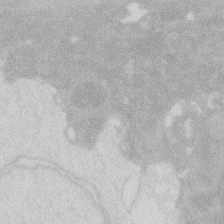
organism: Zebrafish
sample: Macrophage